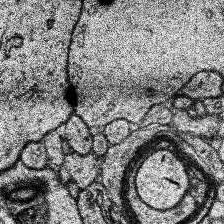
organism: Human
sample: Temporal Lobe